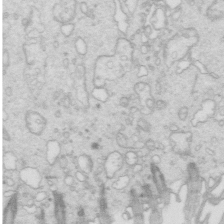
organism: Mouse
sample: Multiciliated cells